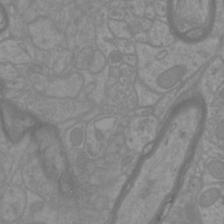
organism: Mouse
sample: Cortical neurons